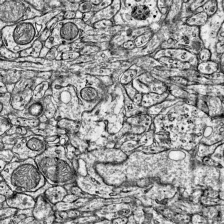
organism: Mouse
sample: Visual Cortex